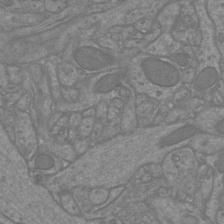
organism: Mouse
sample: Cortical neurons